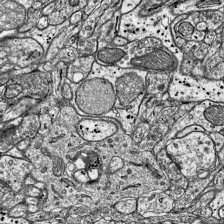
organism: Mouse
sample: Visual Cortex